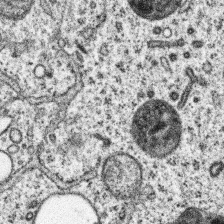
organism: Human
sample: HeLa cells